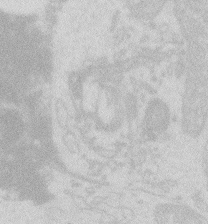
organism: Zebrafish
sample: Macrophage